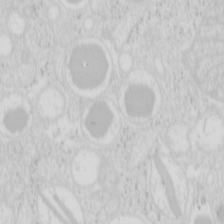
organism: Mouse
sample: Pancreas